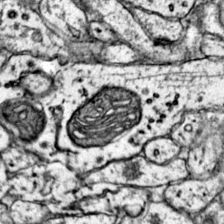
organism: Mouse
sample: Primary visual cortex